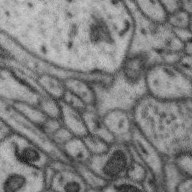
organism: Zebra finch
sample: Brain